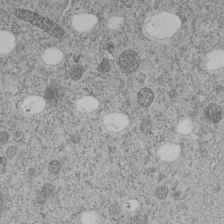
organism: C. elegans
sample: C. elegans embryo early stage